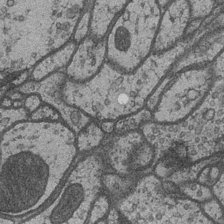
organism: Drosophila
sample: Optic medulla